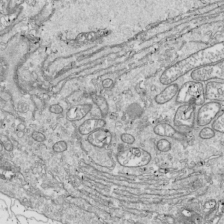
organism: Drosophila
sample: Cell division; meiosis; drosophila spermatocytes